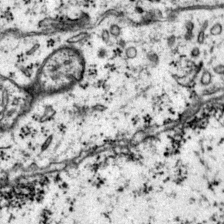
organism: Mouse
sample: Primary visual cortex